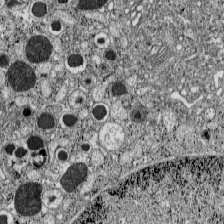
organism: C57BL Mouse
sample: Pancreatic islet